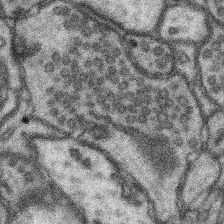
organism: Mouse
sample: Somatosensory cortex neuropil